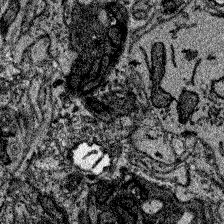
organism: Zebrafish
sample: Larval olfactory bulb